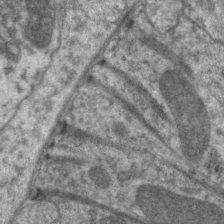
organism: C. elegans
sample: Pharynx